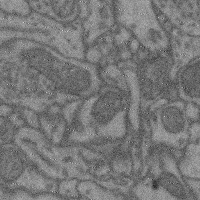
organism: Mouse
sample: Cerebral cortex